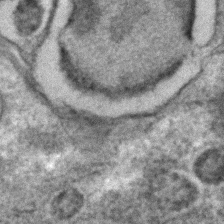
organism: C. elegans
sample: C. elegans embryo